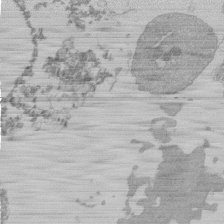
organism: Mouse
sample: Activated Pmel transgenic CD8+ T Cells